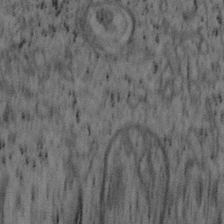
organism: Human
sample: HeLa cells